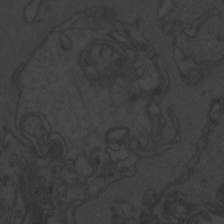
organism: Zebrafish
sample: Macrophage infected with Toxoplasma gondii